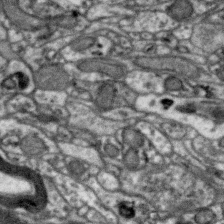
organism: Zebra finch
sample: Brain